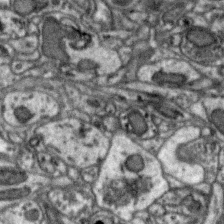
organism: Zebra finch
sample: Brain